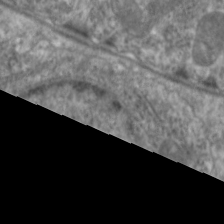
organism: C. elegans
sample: Pharynx